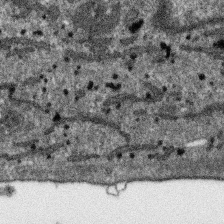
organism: Human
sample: Lung epithelial cells infected with SARS-CoV-2